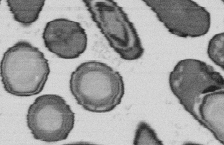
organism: B. subtilis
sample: Bacterial spore